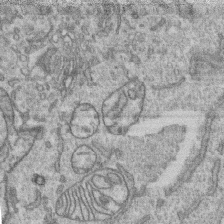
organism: Human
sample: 1205lu cells